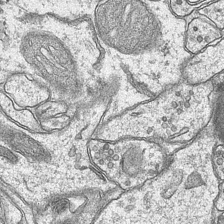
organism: Mouse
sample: CA1 Hippocampus